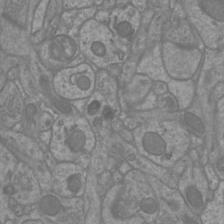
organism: Mouse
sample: Cortical neurons